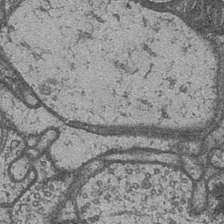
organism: Drosophila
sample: Optic medulla